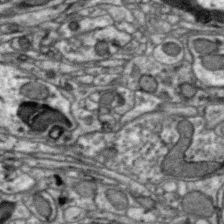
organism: Zebra finch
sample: Brain